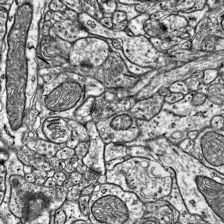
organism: Mouse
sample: Visual Cortex